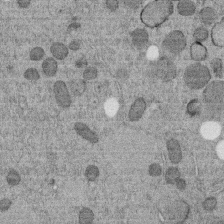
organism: C. elegans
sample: C. elegans embryo early stage